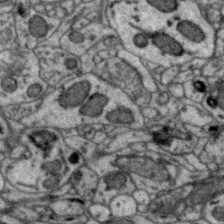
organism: Zebra finch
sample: Brain